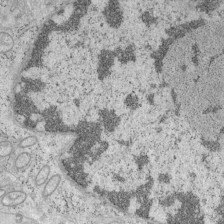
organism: Mouse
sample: OT-I killer T cells with ID8 ovarian cancer cells